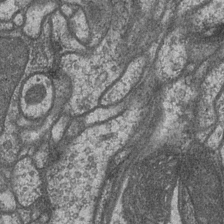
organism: Drosophila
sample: Optic medulla